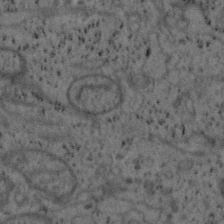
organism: Human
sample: HeLa cells